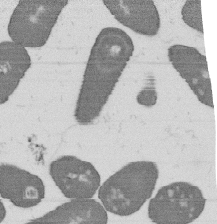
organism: B. subtilis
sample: Bacterial spore